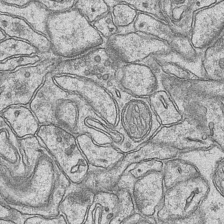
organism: Mouse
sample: CA1 Hippocampus